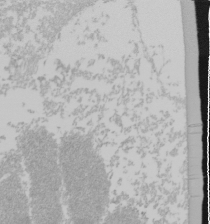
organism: Mouse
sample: Cancer cell death in ED-1 cells